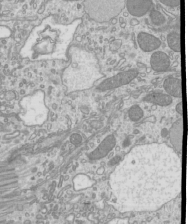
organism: Mouse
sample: Cilia; mouse epididymis